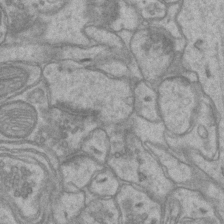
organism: Mouse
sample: CA1 Hippocampus